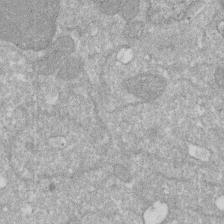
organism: Human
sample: HIV infected U937 cells